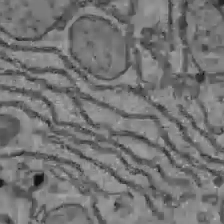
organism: C57BL Mouse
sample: Liver